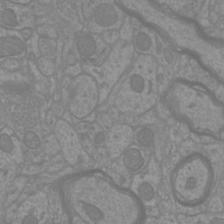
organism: Mouse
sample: Cortical neurons